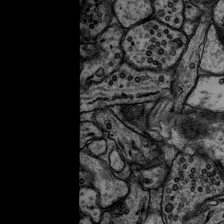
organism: Rat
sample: Hippocampus